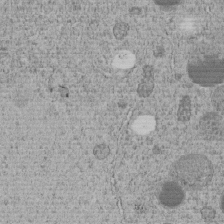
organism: C. elegans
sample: C. elegans embryo early stage